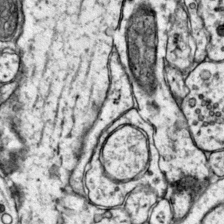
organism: Mouse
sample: Primary visual cortex